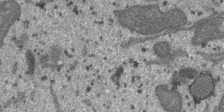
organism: Human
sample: Lung epithelial cells infected with SARS-CoV-2